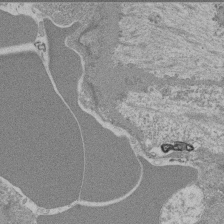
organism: Mouse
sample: Glomerulus